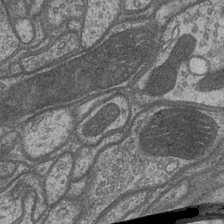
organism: Drosophila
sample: Optic medulla